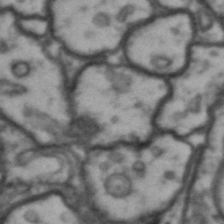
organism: Drosophila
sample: Brain